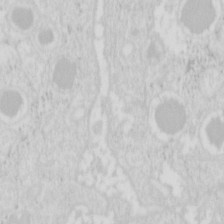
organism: Mouse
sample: Pancreas